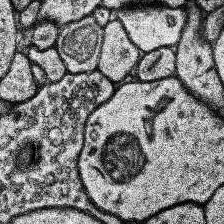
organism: Human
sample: Temporal Lobe